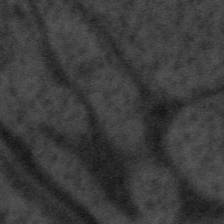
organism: Tuwongella immobilis